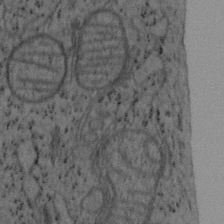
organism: Human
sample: HeLa cells